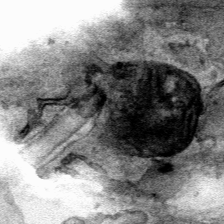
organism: Human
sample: Mitochondria in HCT116 cells